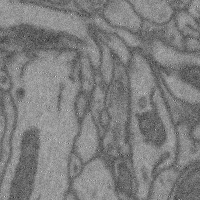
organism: Mouse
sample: Cerebral cortex